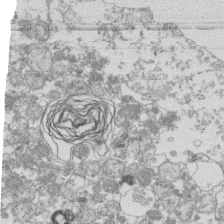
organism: Human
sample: HeLa cell HIV synapse